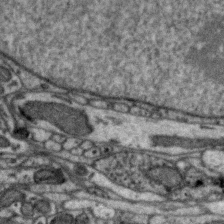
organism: Zebra finch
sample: Brain